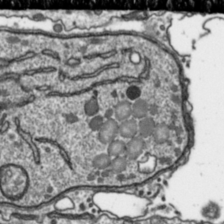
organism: Toxoplasma gondii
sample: Parasites in a vacuole inside a host cell